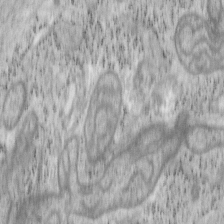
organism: Human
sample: HeLa cells